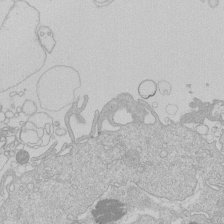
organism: Human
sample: Macrophage cells